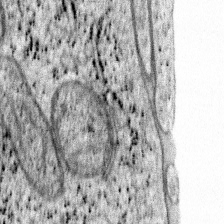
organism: Human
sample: HeLa cells